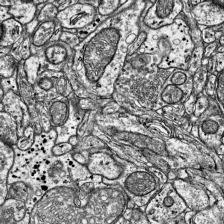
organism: Mouse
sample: Visual Cortex